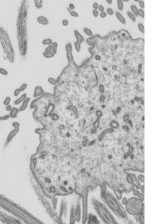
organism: Mouse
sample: Mouse epididymis efferent ductule cilia